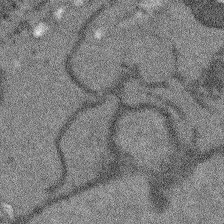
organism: Arabidopsis thaliana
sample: Root tip